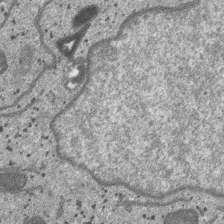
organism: Human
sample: Lung epithelial cells infected with SARS-CoV-2